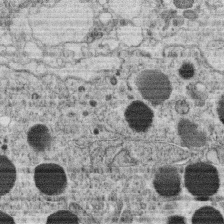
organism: C. elegans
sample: C. elegans oocyte; sperm cells